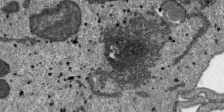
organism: Human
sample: Lung epithelial cells, uninfected (mock) control